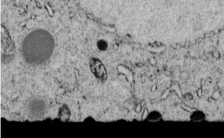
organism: C. elegans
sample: C. elegans embryo early stage